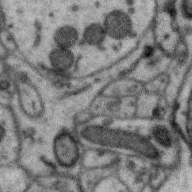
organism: Zebra finch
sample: Brain